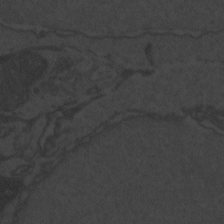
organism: Zebrafish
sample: Macrophage infected with Toxoplasma gondii